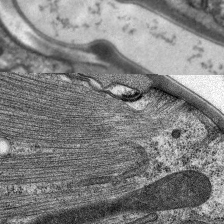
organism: C. elegans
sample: Pharynx